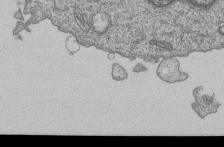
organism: Human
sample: MDA-MB-231 cells